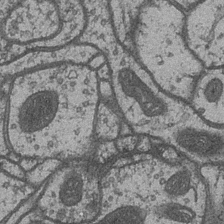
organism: Drosophila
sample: Optic medulla